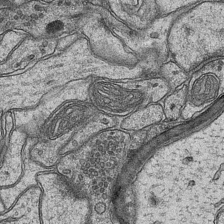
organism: Mouse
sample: CA1 Hippocampus